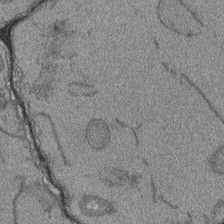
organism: Arabidopsis thaliana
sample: Root tip